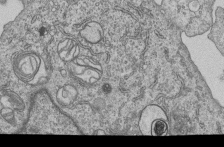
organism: Human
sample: MDA-MB-231 cells